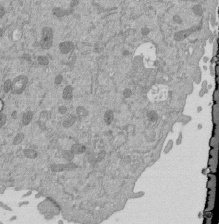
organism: Mouse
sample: ED-1 cell nuclei; centrioles